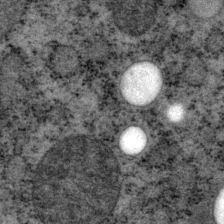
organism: P. pacificus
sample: Pharynx